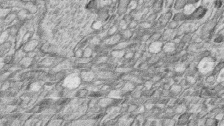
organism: Zebrafish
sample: synaptic ribbons in rod cells and cone cells